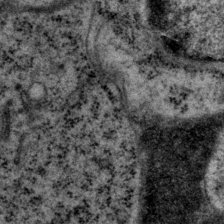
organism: P. pacificus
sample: Pharynx